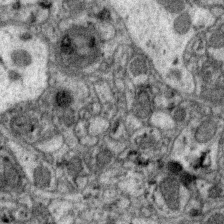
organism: Zebra finch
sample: Brain